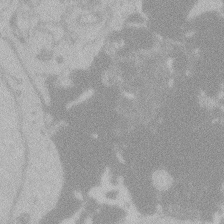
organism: Zebrafish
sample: Macrophage infected with Toxoplasma gondii